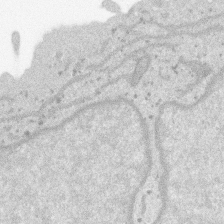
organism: Human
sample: Lung epithelial cells infected with SARS-CoV-2